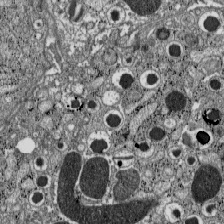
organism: C57BL Mouse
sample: Pancreatic islet